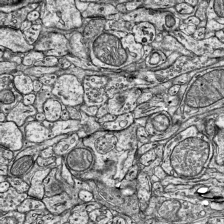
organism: Mouse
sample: Visual Cortex